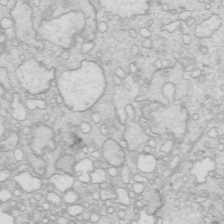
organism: Mouse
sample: Multiciliated cells